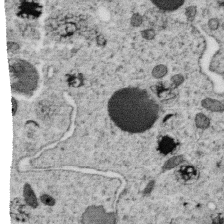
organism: C. elegans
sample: C. elegans oocyte; sperm cells